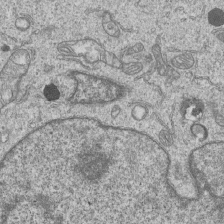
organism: Human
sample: MDA-MB-231 cells